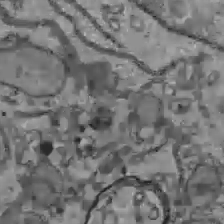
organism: C57BL Mouse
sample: Liver